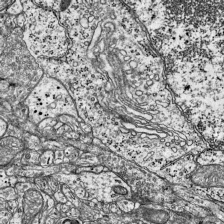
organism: Mouse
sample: Visual Cortex